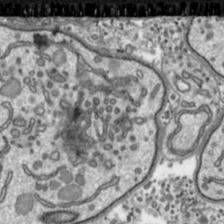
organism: Toxoplasma gondii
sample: Parasites in a vacuole inside a host cell